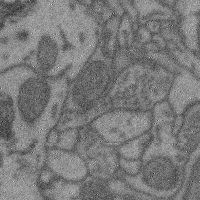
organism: Mouse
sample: Cerebral cortex